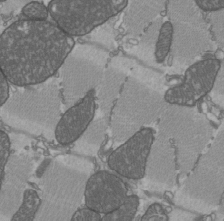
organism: C57BL Mouse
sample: Heart